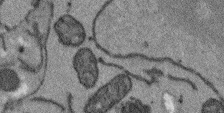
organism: Arabidopsis thaliana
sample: Root tip